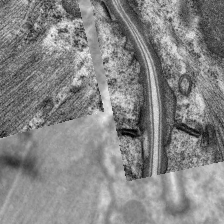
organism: C. elegans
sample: Pharynx